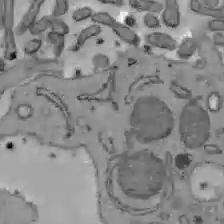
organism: C57BL Mouse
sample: Liver